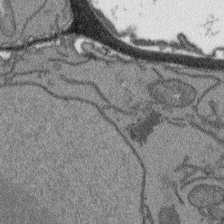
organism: Arabidopsis thaliana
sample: Root tip